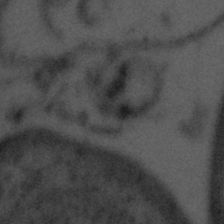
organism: Tuwongella immobilis